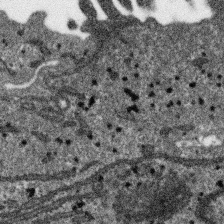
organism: Human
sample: Lung epithelial cells infected with SARS-CoV-2